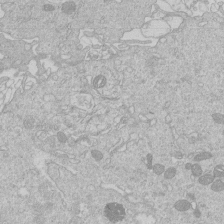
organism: Human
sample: Macrophage cells